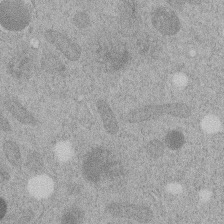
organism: C. elegans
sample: C. elegans embryo early stage